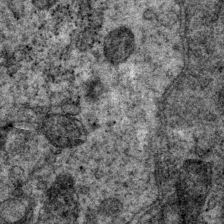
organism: P. pacificus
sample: Pharynx